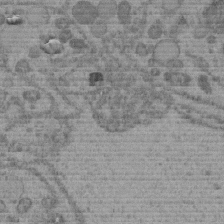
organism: C. elegans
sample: C. elegans embryo early stage